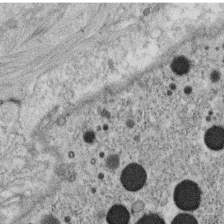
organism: C. elegans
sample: C. elegans oocyte; sperm cells